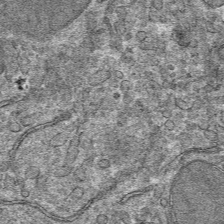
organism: Mouse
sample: Mouse hepatocytes